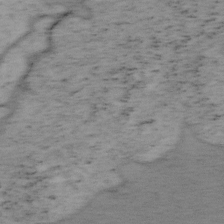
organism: Mouse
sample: OT-I killer T cells with ID8 ovarian cancer cells